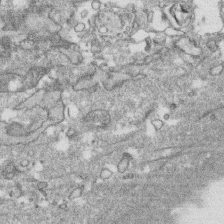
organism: Human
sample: CRL-1474